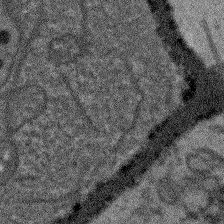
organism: Arabidopsis thaliana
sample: Root tip